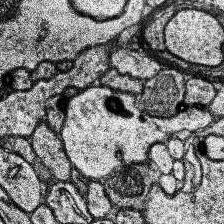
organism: Human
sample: Temporal Lobe